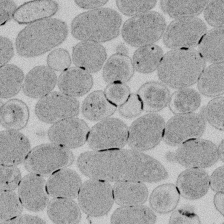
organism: E. coli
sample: Bacterial nucleoid